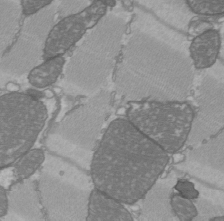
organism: C57BL Mouse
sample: Heart